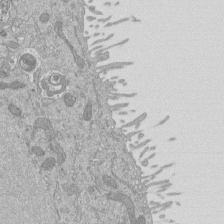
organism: Mouse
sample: ED-1 cell nuclei; centrioles